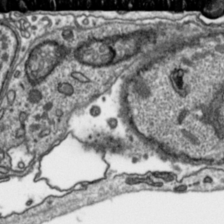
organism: Toxoplasma gondii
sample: Parasites in a vacuole inside a host cell